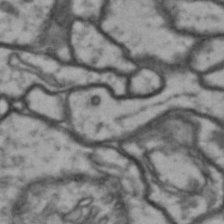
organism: Drosophila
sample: Brain